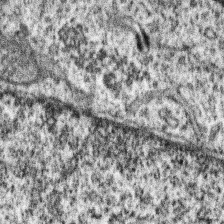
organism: Human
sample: HeLa cells